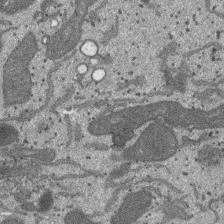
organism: Human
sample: Lung epithelial cells infected with SARS-CoV-2